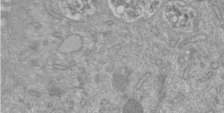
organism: Mouse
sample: ED-1 cell nuclei; centrioles